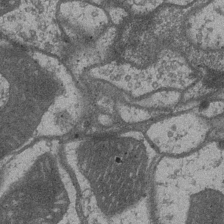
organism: Drosophila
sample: Optic medulla